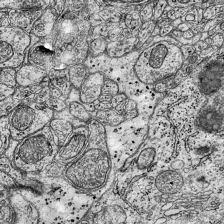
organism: Mouse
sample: Visual Cortex